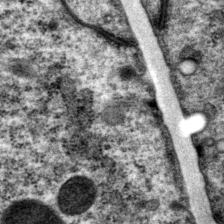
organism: P. pacificus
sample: Pharynx